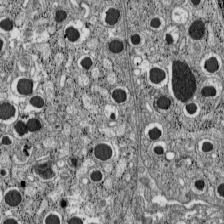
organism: C57BL Mouse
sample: Pancreatic islet